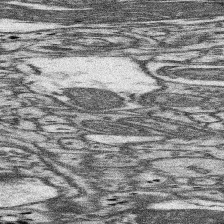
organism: Mouse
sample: Somatosensory cortex neuropil